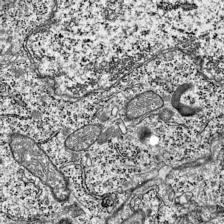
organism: Mouse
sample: Visual Cortex